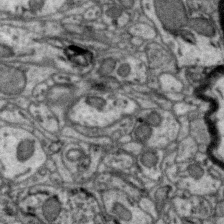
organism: Zebra finch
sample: Brain